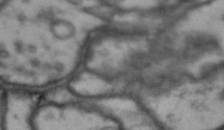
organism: Drosophila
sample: Brain